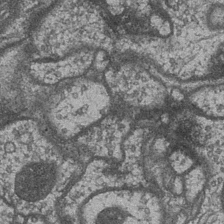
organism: Drosophila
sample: Optic medulla